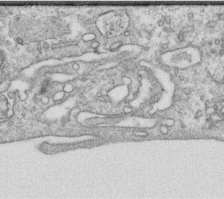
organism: Human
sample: Centriole in RPE cells